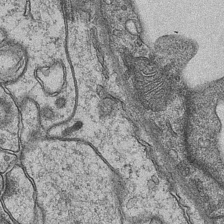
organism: Mouse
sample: CA1 Hippocampus